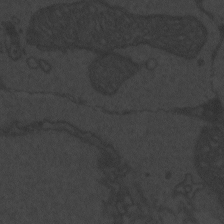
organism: Zebrafish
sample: Macrophage infected with Toxoplasma gondii